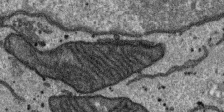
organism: Human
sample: Lung epithelial cells, uninfected (mock) control